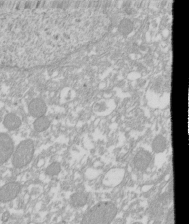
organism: Xenopus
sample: Cilia; centrioles in frog embryo cells